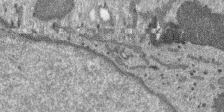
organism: Human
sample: Lung epithelial cells infected with SARS-CoV-2